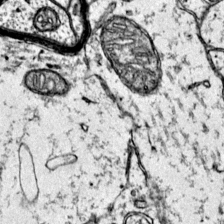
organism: Mouse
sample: Primary visual cortex